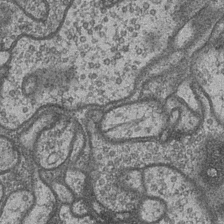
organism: Drosophila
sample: Optic medulla